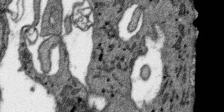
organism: Human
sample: Lung epithelial cells, uninfected (mock) control